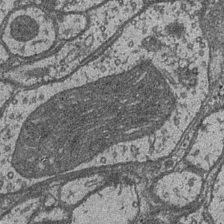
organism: Drosophila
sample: Optic medulla